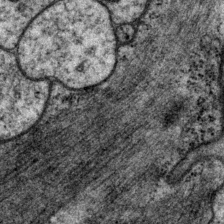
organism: P. pacificus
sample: Pharynx